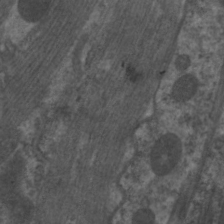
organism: C. elegans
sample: Pharynx